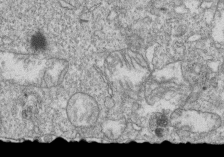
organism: Human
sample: HeLa cell HIV synapse